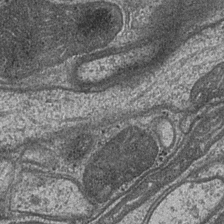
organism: Drosophila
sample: Optic medulla